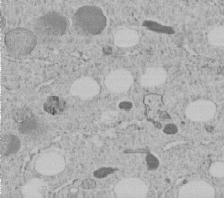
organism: C. elegans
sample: C. elegans embryo early stage